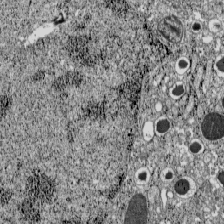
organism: C57BL Mouse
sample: Pancreatic islet